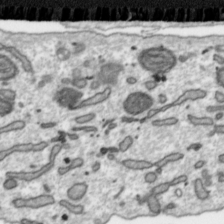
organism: Toxoplasma gondii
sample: Parasites in a vacuole inside a host cell